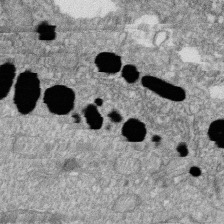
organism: Zebrafish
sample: Cilia; retinal pigment epithelium